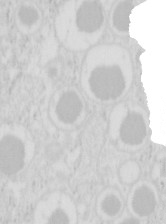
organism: Mouse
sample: Pancreas